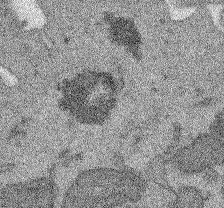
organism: Human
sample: HeLa cells